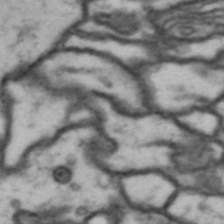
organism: Drosophila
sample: Brain